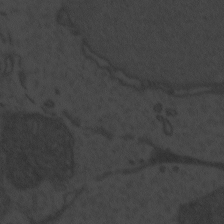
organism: Zebrafish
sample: Macrophage infected with Toxoplasma gondii